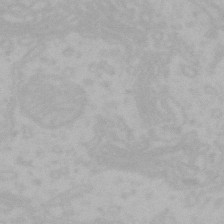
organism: Mouse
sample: Choroid plexus